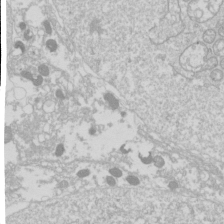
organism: Drosophila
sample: Cell division; meiosis; drosophila spermatocytes